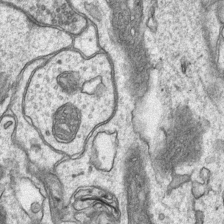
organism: Mouse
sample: CA1 Hippocampus